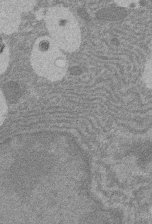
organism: Rat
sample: Salivary granule